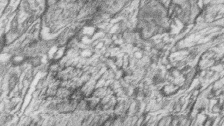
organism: Zebrafish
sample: synaptic ribbons in rod cells and cone cells